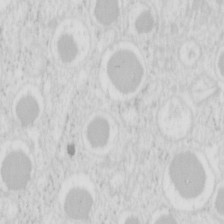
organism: Mouse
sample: Pancreas